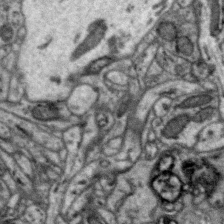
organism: Zebra finch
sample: Brain